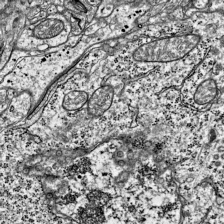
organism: Mouse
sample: Visual Cortex